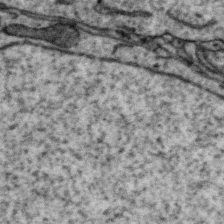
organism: Zebra finch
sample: Brain